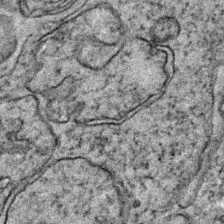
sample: Trachea